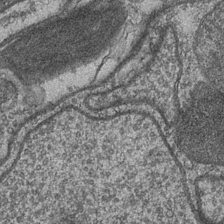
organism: Drosophila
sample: Optic medulla